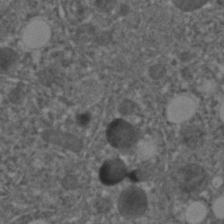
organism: C. elegans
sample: C. elegans embryo